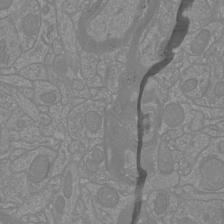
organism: Mouse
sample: Cortical neurons